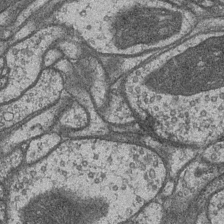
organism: Drosophila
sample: Optic medulla